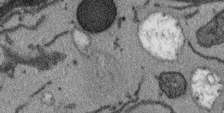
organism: Arabidopsis thaliana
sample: Root tip